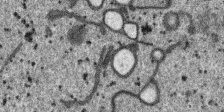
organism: Human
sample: Lung epithelial cells infected with SARS-CoV-2